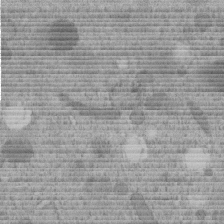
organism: C. elegans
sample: C. elegans embryo early stage